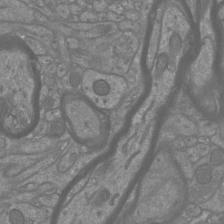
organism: Mouse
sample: Cortical neurons